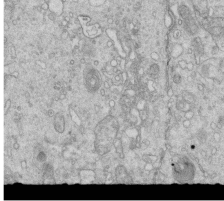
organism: Mouse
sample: Multiciliated cells